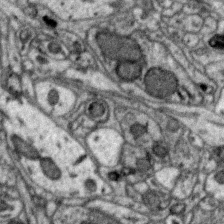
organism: Zebra finch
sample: Brain